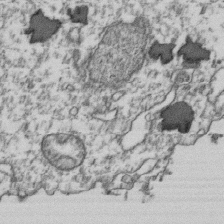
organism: Human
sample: Activated Jurkat CD4+ T cells